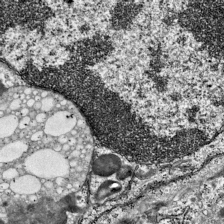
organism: Mouse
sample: Visual Cortex